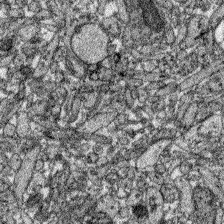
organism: Zebrafish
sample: Larval olfactory bulb